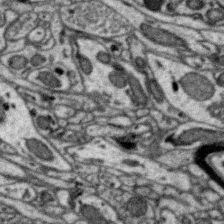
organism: Zebra finch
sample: Brain